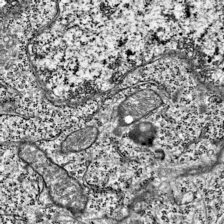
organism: Mouse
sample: Visual Cortex